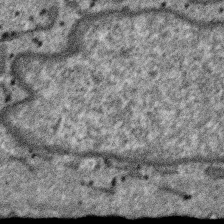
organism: Human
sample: Lung epithelial cells infected with SARS-CoV-2